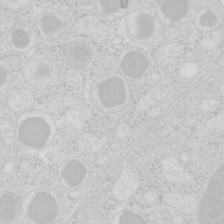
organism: Mouse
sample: Pancreas